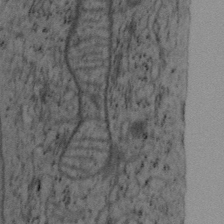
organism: Human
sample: HeLa cells